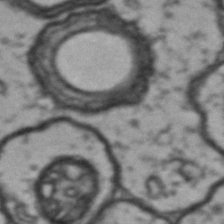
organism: Drosophila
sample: Brain